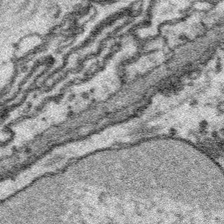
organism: Platynereis dumerilii